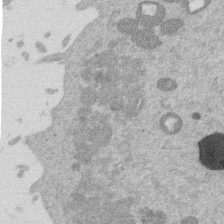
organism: Mouse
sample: Dividing mouse embryo 1 cell stage